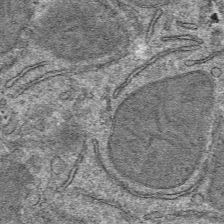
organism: Mouse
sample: Mouse hepatocytes